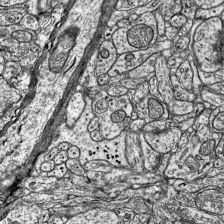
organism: Mouse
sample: Visual Cortex